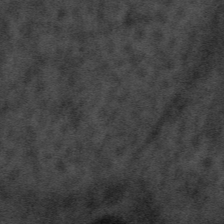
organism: Tuwongella immobilis